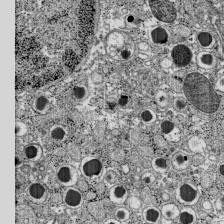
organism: C57BL Mouse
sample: Pancreatic islet